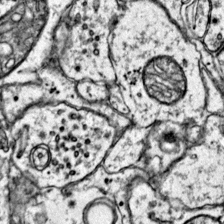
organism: Mouse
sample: Primary visual cortex